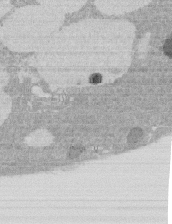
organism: Rat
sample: Salivary granule